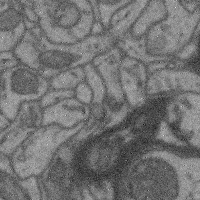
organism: Mouse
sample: Cerebral cortex